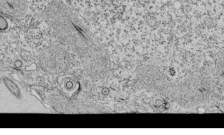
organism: Tetrahymena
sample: Cilia in tetrahymena